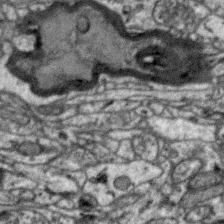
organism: Zebra finch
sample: Brain